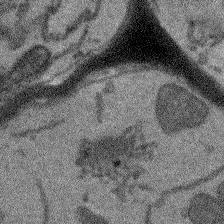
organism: Arabidopsis thaliana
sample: Root tip